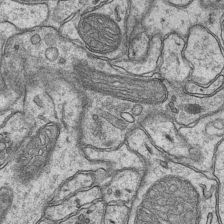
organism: Mouse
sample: CA1 Hippocampus